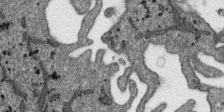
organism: Human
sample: Lung epithelial cells infected with SARS-CoV-2